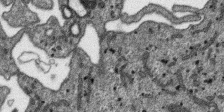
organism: Human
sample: Lung epithelial cells infected with SARS-CoV-2